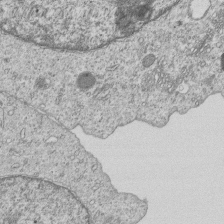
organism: Human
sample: MDA-MB-231 cells